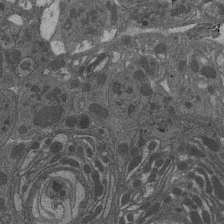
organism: Drosophila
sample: Antenna